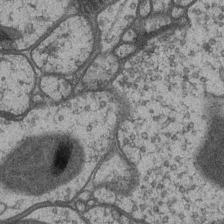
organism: Drosophila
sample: Optic medulla